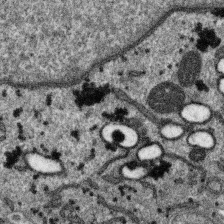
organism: Human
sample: Lung epithelial cells infected with SARS-CoV-2